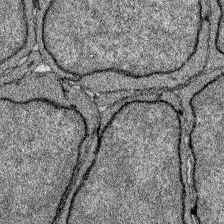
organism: Zebrafish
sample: Larval olfactory bulb